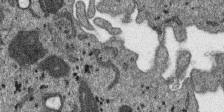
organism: Human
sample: Lung epithelial cells infected with SARS-CoV-2